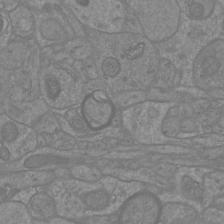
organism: Mouse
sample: Cortical neurons